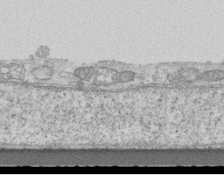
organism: Mouse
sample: Centriole in ependymal cells